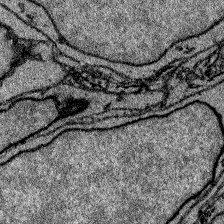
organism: Zebrafish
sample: Larval olfactory bulb